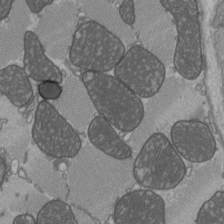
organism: C57BL Mouse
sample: Heart